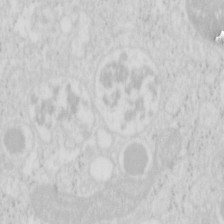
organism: Mouse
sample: Pancreas